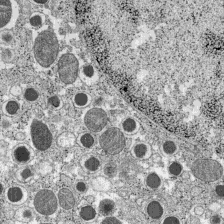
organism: C57BL Mouse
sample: Pancreatic islet